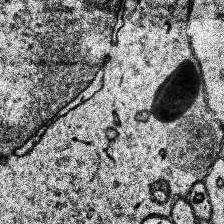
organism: Human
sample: Temporal Lobe